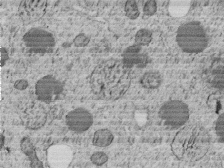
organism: C. elegans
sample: C. elegans embryo early stage